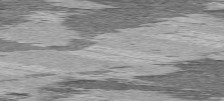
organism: C57BL Mouse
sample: Heart